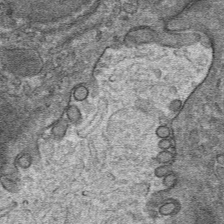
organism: Mouse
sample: Mouse hepatocytes